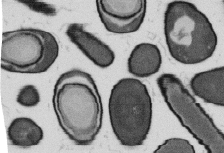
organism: B. subtilis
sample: Bacterial spore